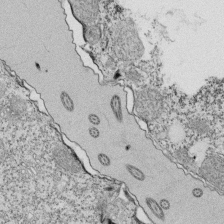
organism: Tetrahymena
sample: Cilia in tetrahymena